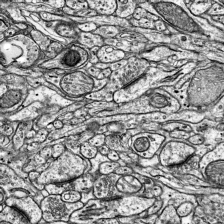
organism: Mouse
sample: Visual Cortex